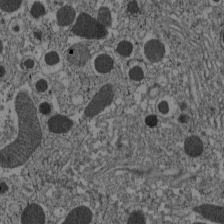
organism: C57BL Mouse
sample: Pancreatic islet